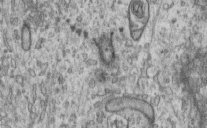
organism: Human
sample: Centriole in RPE cells